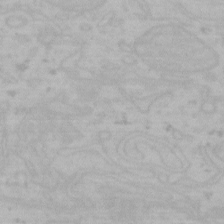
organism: Mouse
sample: Choroid plexus